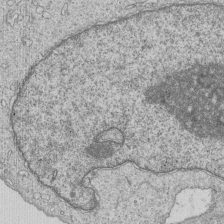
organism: Human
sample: MDA-MB-231 cells